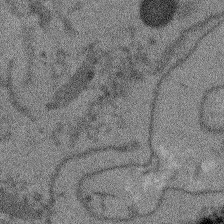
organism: Arabidopsis thaliana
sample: Root tip